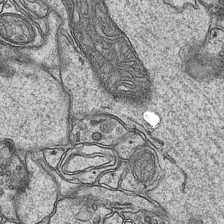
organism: Mouse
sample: CA1 Hippocampus